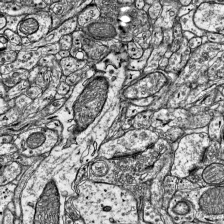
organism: Mouse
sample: Visual Cortex